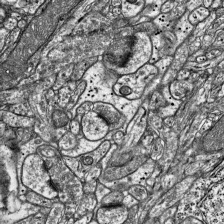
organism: Mouse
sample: Visual Cortex